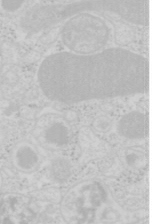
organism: Mouse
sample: Pancreas